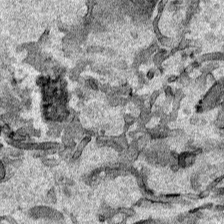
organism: Human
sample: Mitochondria in HCT116 cells